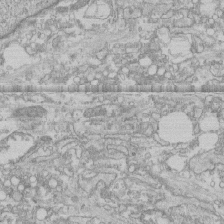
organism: Human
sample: CRL-1474